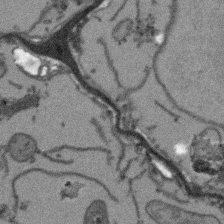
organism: Arabidopsis thaliana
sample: Root tip